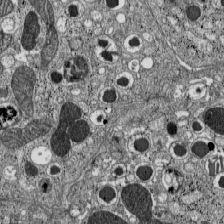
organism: C57BL Mouse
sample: Pancreatic islet